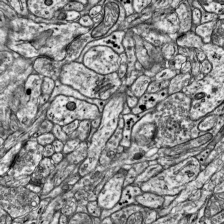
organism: Mouse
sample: Visual Cortex